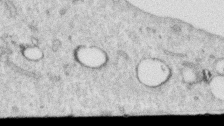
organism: Human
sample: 1205lu cells